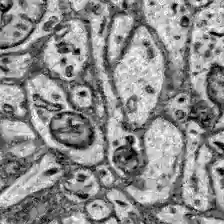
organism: Zebrafish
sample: Brain